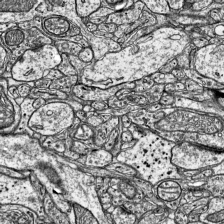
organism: Mouse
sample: Visual Cortex